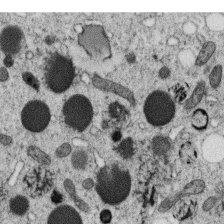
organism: C. elegans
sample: C. elegans oocyte; sperm cells